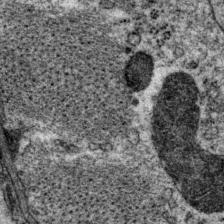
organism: P. pacificus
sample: Pharynx